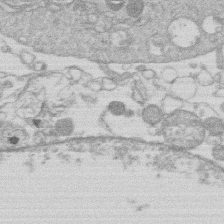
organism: Human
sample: Macrophage cells